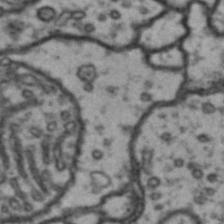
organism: Drosophila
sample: Brain